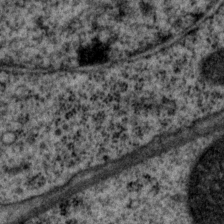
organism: P. pacificus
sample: Pharynx